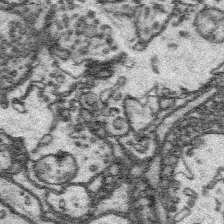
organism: Platynereis dumerilii